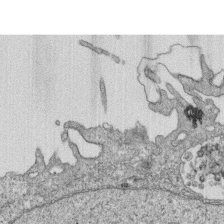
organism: Human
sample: HeLa cell HIV synapse